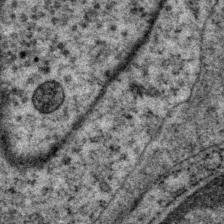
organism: P. pacificus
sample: Pharynx